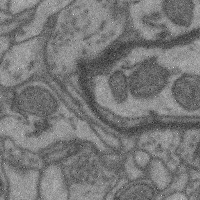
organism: Mouse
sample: Cerebral cortex